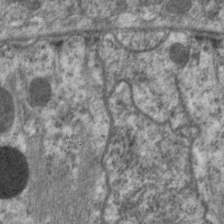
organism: C. elegans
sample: Pharynx